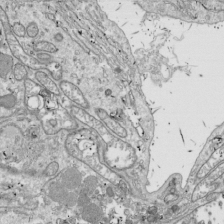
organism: Drosophila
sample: Cell division; meiosis; drosophila spermatocytes